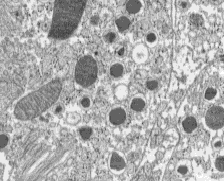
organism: C57BL Mouse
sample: Pancreatic islet